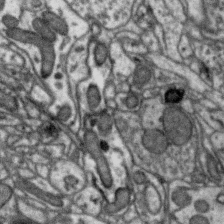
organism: Zebra finch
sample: Brain